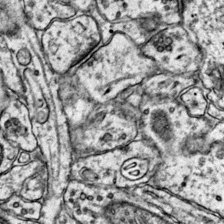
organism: Mouse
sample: Primary visual cortex